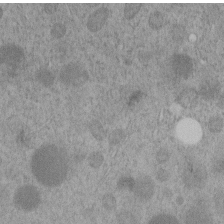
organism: C. elegans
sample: C. elegans embryo early stage